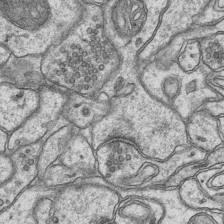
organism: Mouse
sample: CA1 Hippocampus